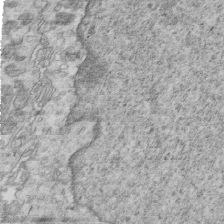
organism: Mouse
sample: Multiciliated cells